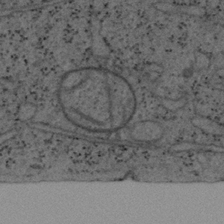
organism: Human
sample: HeLa cells